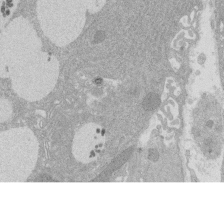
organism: Rat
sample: Salivary granule